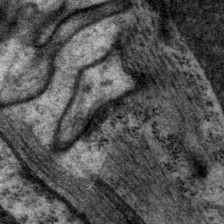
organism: P. pacificus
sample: Pharynx